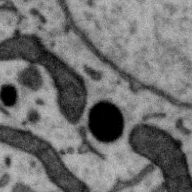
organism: Zebra finch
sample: Brain